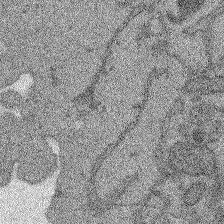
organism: Human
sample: HeLa cells